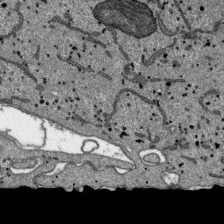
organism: Human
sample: Lung epithelial cells, uninfected (mock) control